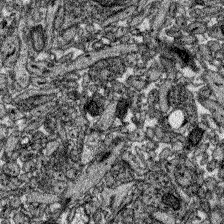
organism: Zebrafish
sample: Larval olfactory bulb